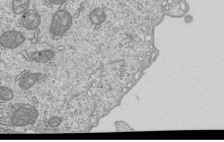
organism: Human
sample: MDA-MB-231 cells